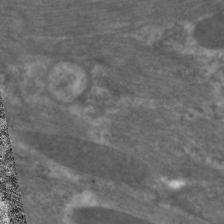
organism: C. elegans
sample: Pharynx